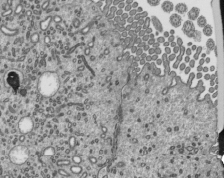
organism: Mouse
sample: Mouse epididymis efferent ductule cilia